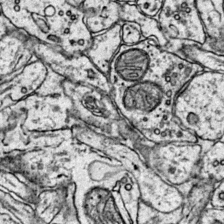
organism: Mouse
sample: Primary visual cortex